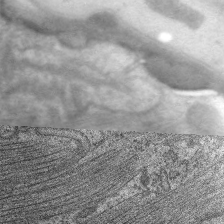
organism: C. elegans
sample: Pharynx